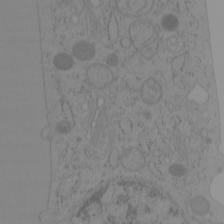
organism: Human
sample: HeLa cells